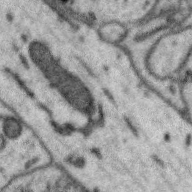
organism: Zebra finch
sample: Brain